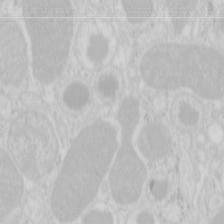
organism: Mouse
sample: Pancreas